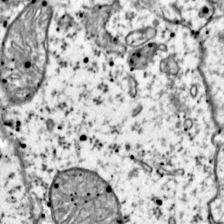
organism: Mouse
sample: Primary visual cortex